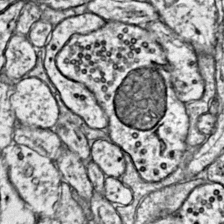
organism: Mouse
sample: Primary visual cortex